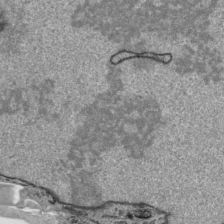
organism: Human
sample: Mitochondria in HCT116 cells